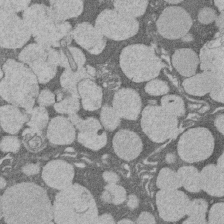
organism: Rat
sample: Salivary granule